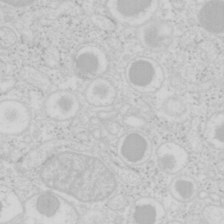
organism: Mouse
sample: Pancreas